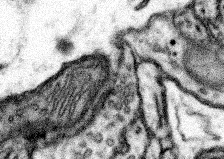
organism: Mouse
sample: Somatosensory cortex neuropil